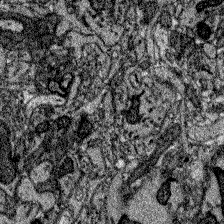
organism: Zebrafish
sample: Larval olfactory bulb